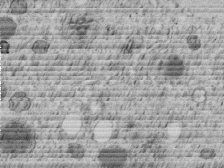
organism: C. elegans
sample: C. elegans embryo early stage